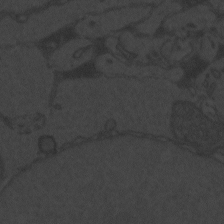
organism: Zebrafish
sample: Macrophage infected with Toxoplasma gondii